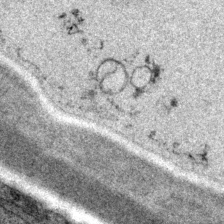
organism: P. pacificus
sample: Pharynx